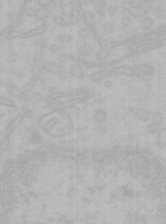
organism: Mouse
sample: Choroid plexus